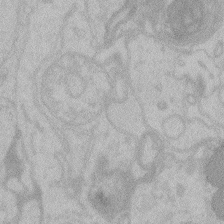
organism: Zebrafish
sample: Macrophage infected with Toxoplasma gondii